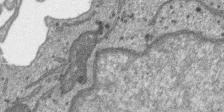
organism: Human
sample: Lung epithelial cells infected with SARS-CoV-2